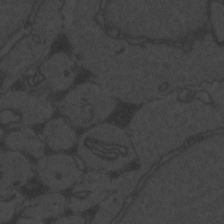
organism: Zebrafish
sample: Macrophage infected with Toxoplasma gondii